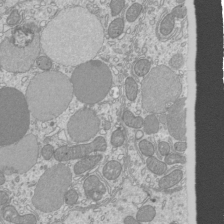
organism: Mouse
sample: Cilia; mouse epididymis